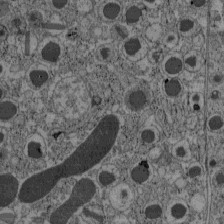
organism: C57BL Mouse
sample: Pancreatic islet